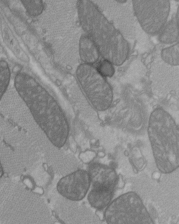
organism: C57BL Mouse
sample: Heart